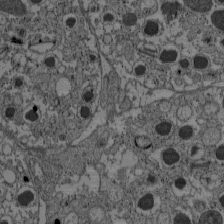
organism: C57BL Mouse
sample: Pancreatic islet